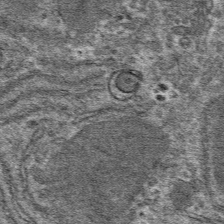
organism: Mouse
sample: Mouse hepatocytes